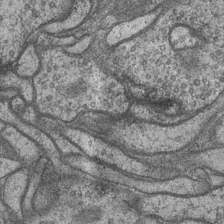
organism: Drosophila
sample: Optic medulla